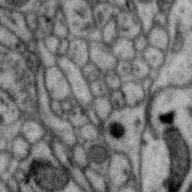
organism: Zebra finch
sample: Brain